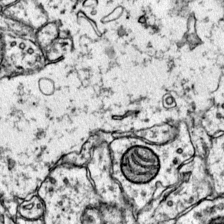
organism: Mouse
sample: Primary visual cortex